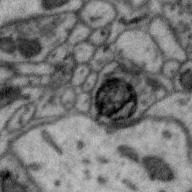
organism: Zebra finch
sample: Brain